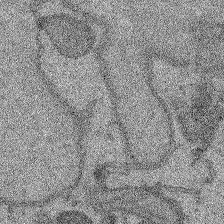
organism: Human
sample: HeLa cells